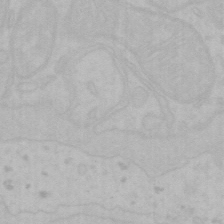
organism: Mouse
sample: Choroid plexus